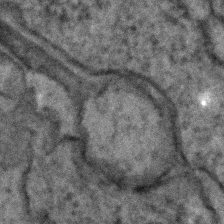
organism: C. elegans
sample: C. elegans embryo